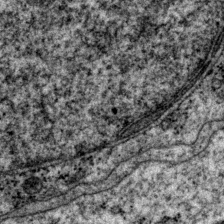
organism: P. pacificus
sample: Pharynx